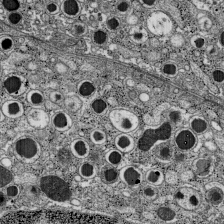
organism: C57BL Mouse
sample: Pancreatic islet